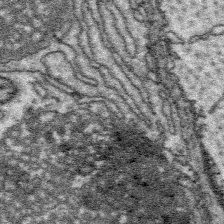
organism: Platynereis dumerilii